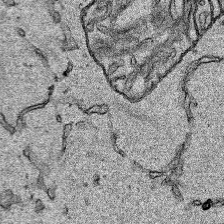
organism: Human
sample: Mitochondria in HCT116 cells